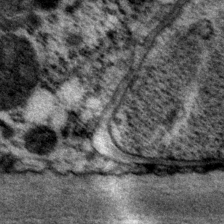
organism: P. pacificus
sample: Pharynx